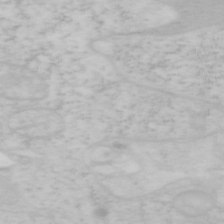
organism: Mouse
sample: OT-I killer T cells with ID8 ovarian cancer cells